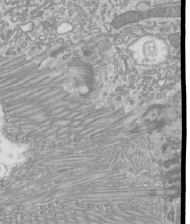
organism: Mouse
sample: Cilia; mouse epididymis